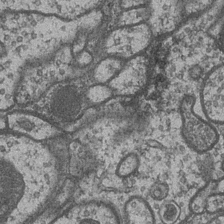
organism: Drosophila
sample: Optic medulla